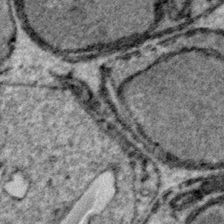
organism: Plasmodium falciparum